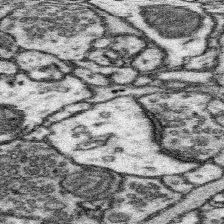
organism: Mouse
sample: Somatosensory cortex neuropil